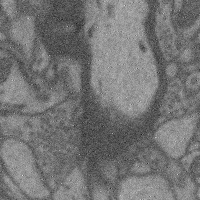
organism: Mouse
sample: Cerebral cortex